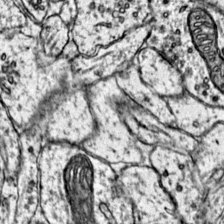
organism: Mouse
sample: Primary visual cortex